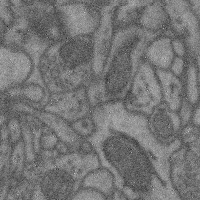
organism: Mouse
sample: Cerebral cortex